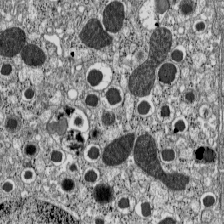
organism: C57BL Mouse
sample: Pancreatic islet